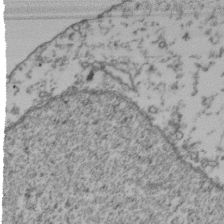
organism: Human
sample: Activated Jurkat CD4+ T cells